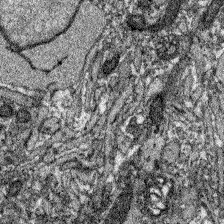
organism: Zebrafish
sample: Larval olfactory bulb